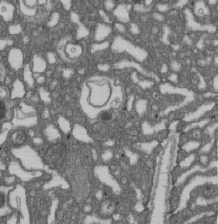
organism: Drosophila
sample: Nephrocyte